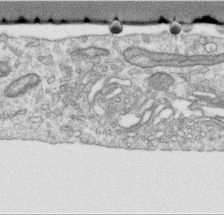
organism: Human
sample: Centriole in RPE cells